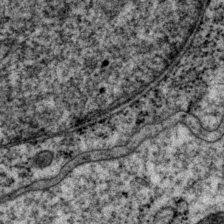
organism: P. pacificus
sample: Pharynx